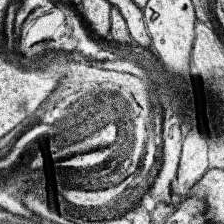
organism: Human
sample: Temporal Lobe